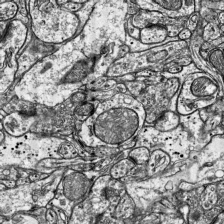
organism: Mouse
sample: Visual Cortex